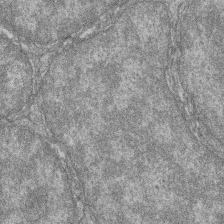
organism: Zebrafish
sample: Cilia; retinal pigment epithelium